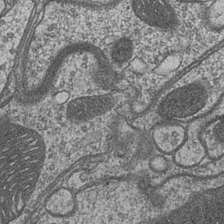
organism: Drosophila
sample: Optic medulla